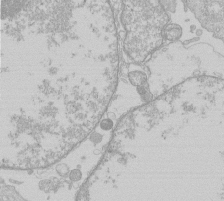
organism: Human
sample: Macrophage cells